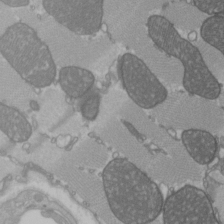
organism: C57BL Mouse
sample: Heart